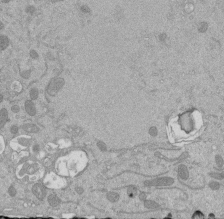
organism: Mouse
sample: ED-1 cell nuclei; centrioles